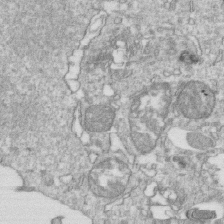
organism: Mouse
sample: Activated OT-1 CD8+ T cells